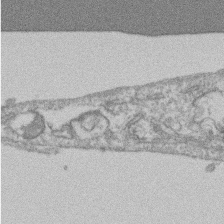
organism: Mouse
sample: T cell stromal cell synapse